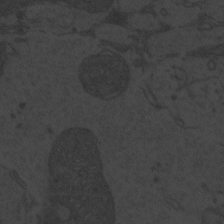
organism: Zebrafish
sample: Macrophage infected with Toxoplasma gondii